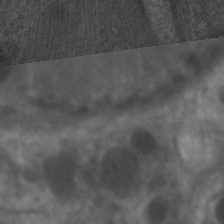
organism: C. elegans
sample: Pharynx